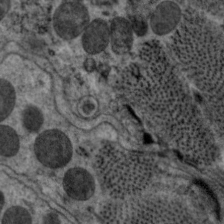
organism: C. elegans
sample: Pharynx